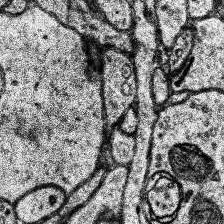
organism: Human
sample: Temporal Lobe